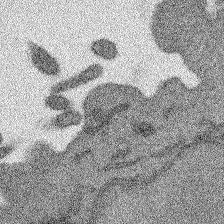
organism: Human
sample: HeLa cells